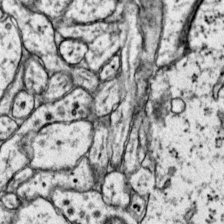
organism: Mouse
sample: Primary visual cortex